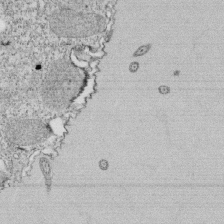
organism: Tetrahymena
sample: Cilia in tetrahymena